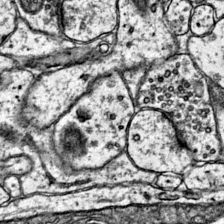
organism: Mouse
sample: Primary visual cortex